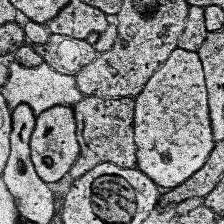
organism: Human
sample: Temporal Lobe